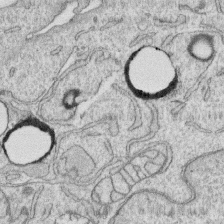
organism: Human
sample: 1205lu cells